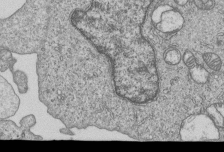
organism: Human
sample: MDA-MB-231 cells